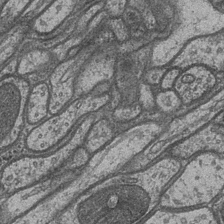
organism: Drosophila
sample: Optic medulla